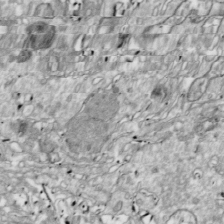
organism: Drosophila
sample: Cell division; meiosis; drosophila spermatocytes